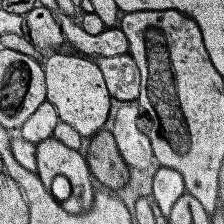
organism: Human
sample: Temporal Lobe